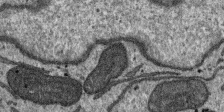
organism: Human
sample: Lung epithelial cells, uninfected (mock) control